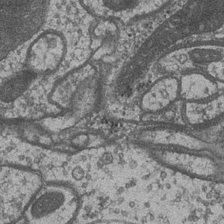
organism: Drosophila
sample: Optic medulla